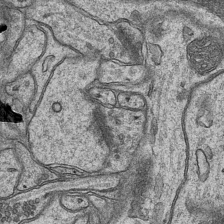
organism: Mouse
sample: CA1 Hippocampus